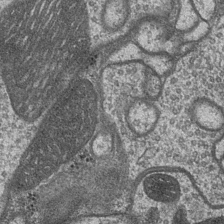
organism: Drosophila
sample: Optic medulla